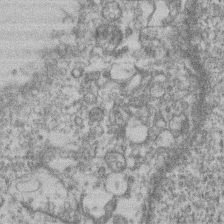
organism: Mouse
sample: T cell stromal cell synapse